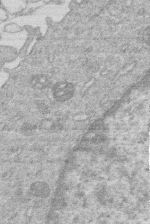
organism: Human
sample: Macrophage cells